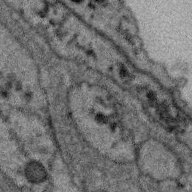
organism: Zebra finch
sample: Brain